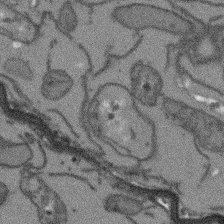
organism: Arabidopsis thaliana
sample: Root tip